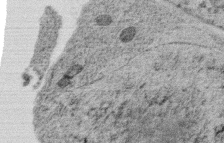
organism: C. elegans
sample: C. elegans oocyte; sperm cells